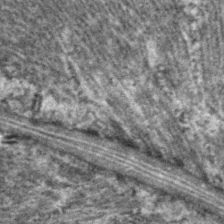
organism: C. elegans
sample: Pharynx